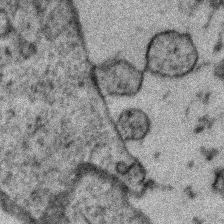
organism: Zebrafish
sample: Zebrafish embryo